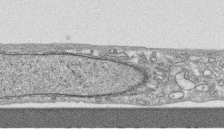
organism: Human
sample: CRL-1474